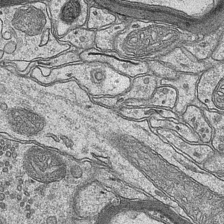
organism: Mouse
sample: CA1 Hippocampus